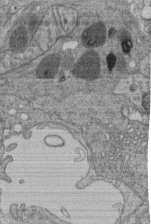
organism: Human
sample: Retinal organoid Rod and Cone cells